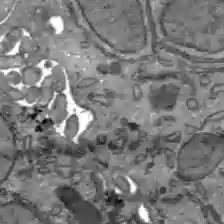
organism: C57BL Mouse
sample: Liver